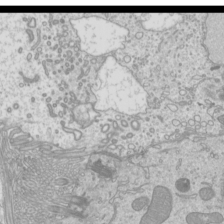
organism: Mouse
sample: Cilia; mouse epididymis